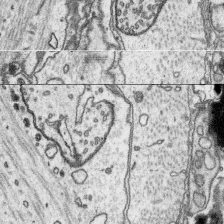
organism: Platynereis dumerilii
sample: Parapodia